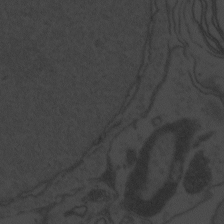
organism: Zebrafish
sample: Macrophage infected with Toxoplasma gondii